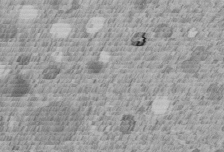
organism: C. elegans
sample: C. elegans embryo early stage